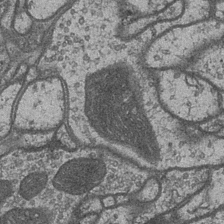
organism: Drosophila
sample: Optic medulla